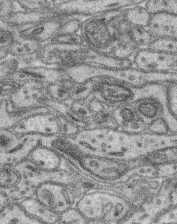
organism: Mouse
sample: Retina